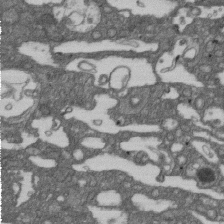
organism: Drosophila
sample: Nephrocyte